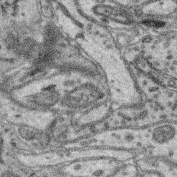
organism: Mouse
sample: Retina